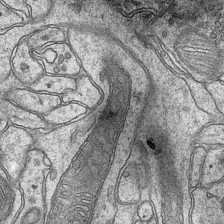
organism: Mouse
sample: CA1 Hippocampus